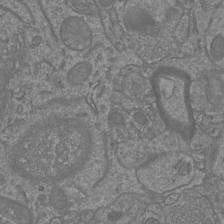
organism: Mouse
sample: Cortical neurons